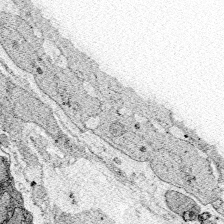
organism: Zebrafish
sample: Whole-Brain